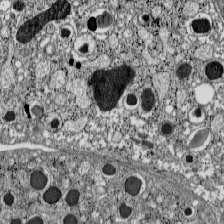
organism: C57BL Mouse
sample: Pancreatic islet